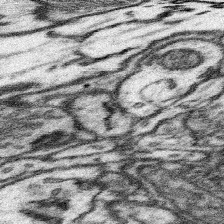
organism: Mouse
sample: Somatosensory cortex neuropil